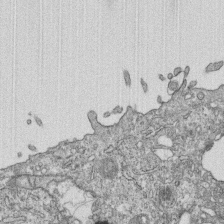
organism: Human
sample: HeLa cell HIV synapse